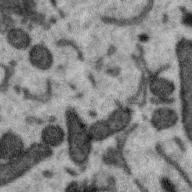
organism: Zebra finch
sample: Brain